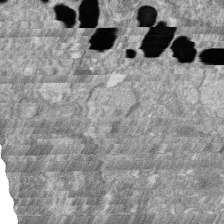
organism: Zebrafish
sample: Cilia; retinal pigment epithelium